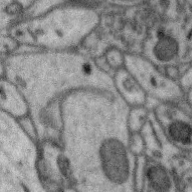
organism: Zebra finch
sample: Brain